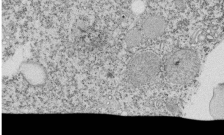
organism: Tetrahymena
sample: Cilia in tetrahymena